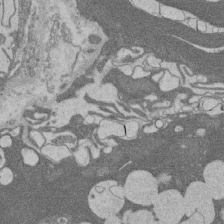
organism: Rat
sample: Salivary granule